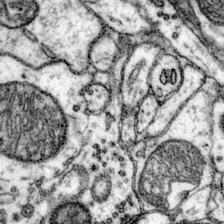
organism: Mouse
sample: Primary visual cortex